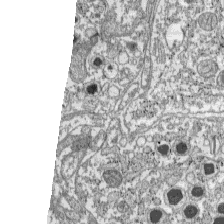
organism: C57BL Mouse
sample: Pancreatic islet